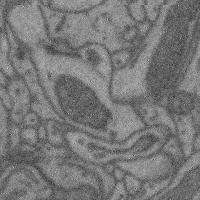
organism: Mouse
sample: Cerebral cortex